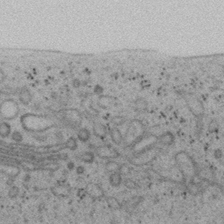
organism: Human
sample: HeLa cells